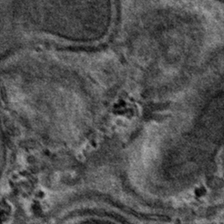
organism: Mouse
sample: Mouse hepatocytes